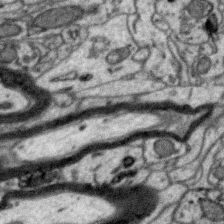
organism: Zebra finch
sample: Brain